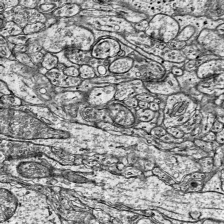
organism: Mouse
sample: Visual Cortex